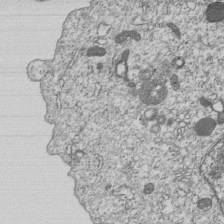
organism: Human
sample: MDA-MB-231 cells